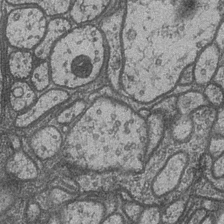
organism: Drosophila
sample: Optic medulla